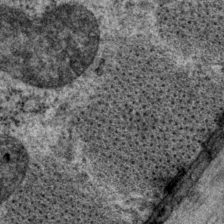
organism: P. pacificus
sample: Pharynx